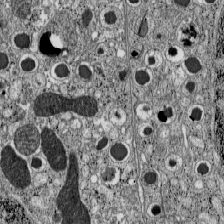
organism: C57BL Mouse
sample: Pancreatic islet